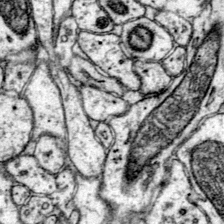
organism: Mouse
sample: Primary visual cortex